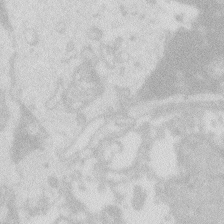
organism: Zebrafish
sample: Macrophage